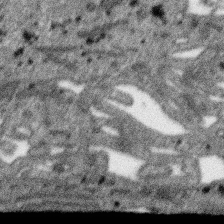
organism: Human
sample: Lung epithelial cells infected with SARS-CoV-2